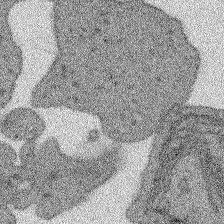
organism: Human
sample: HeLa cells